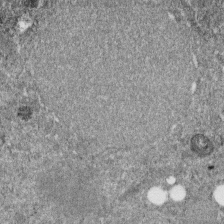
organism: C. elegans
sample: C. elegans embryo early stage